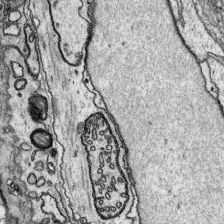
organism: Platynereis dumerilii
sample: Parapodia